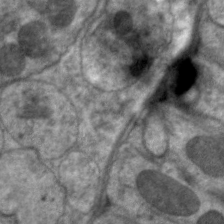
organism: C. elegans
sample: Pharynx